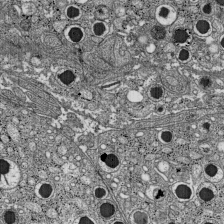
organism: C57BL Mouse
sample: Pancreatic islet